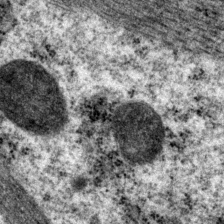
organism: P. pacificus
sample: Pharynx